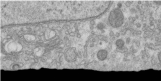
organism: Human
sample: Centriole in RPE cells